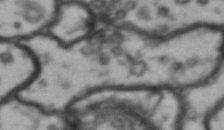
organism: Drosophila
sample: Brain